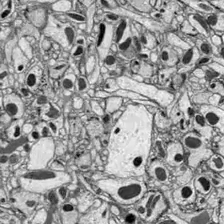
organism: Drosophila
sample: Optic lobe